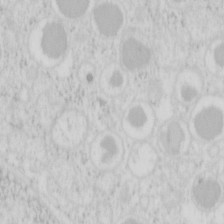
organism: Mouse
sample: Pancreas